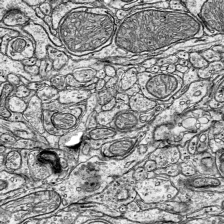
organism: Mouse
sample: Visual Cortex